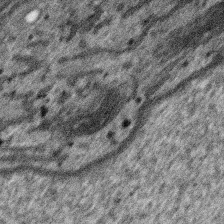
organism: Human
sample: Lung epithelial cells infected with SARS-CoV-2